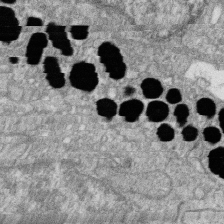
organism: Zebrafish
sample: Cilia; retinal pigment epithelium